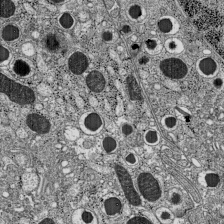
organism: C57BL Mouse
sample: Pancreatic islet